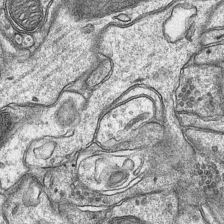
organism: Mouse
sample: CA1 Hippocampus